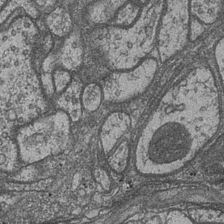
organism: Drosophila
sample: Optic medulla